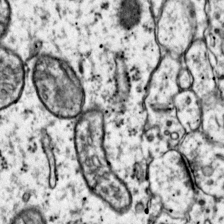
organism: Mouse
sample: Primary visual cortex